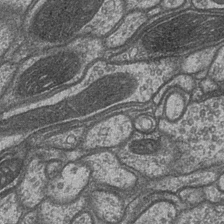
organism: Drosophila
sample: Optic medulla